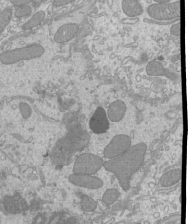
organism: Mouse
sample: Cilia; mouse epididymis